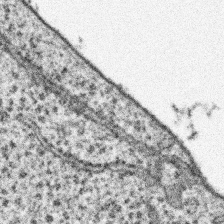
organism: Human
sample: HeLa cells